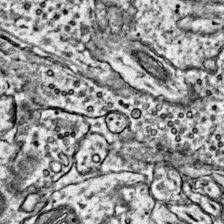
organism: Mouse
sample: Primary visual cortex